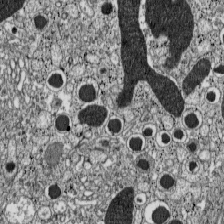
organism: C57BL Mouse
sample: Pancreatic islet